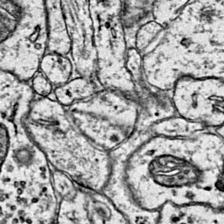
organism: Mouse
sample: Primary visual cortex